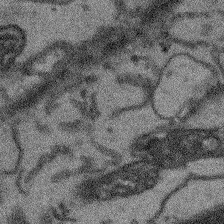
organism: Arabidopsis thaliana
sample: Root tip